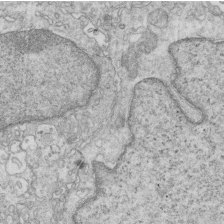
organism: Mouse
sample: Multiciliated cells